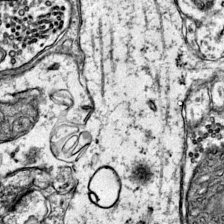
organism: Mouse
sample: Primary visual cortex